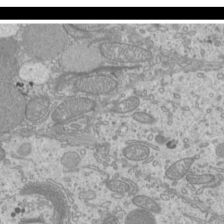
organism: Mouse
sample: Cilia; mouse epididymis